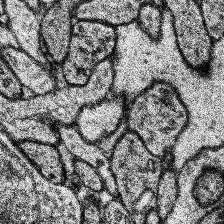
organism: Human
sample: Temporal Lobe